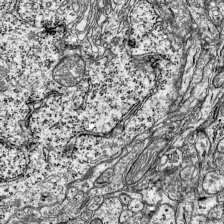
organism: Mouse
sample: Visual Cortex